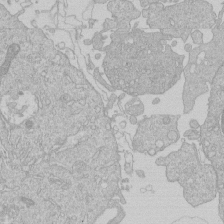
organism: Human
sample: Macrophage cells